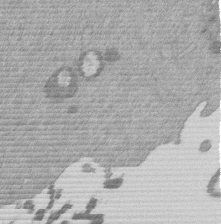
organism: Mouse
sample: Dividing mouse embryo 1 cell stage